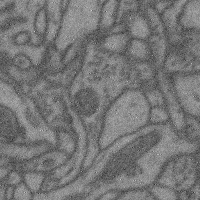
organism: Mouse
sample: Cerebral cortex